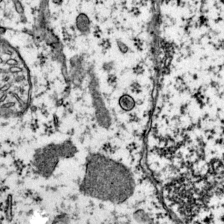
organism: Mouse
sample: Primary visual cortex